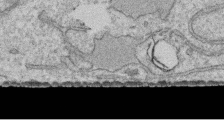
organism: Human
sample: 1205lu cells